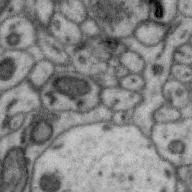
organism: Zebra finch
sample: Brain